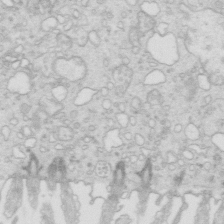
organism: Mouse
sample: Multiciliated cells